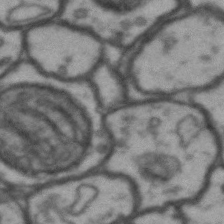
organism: Drosophila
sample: Brain